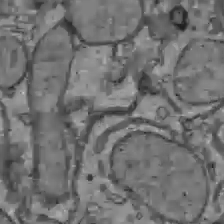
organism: C57BL Mouse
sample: Liver